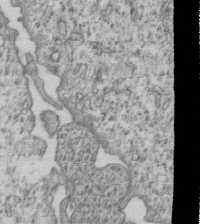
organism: Human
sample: MDA-MB-231 cells